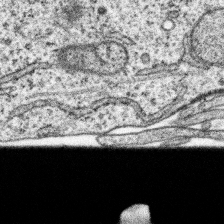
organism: Human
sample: HeLa cells